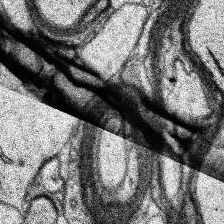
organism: Human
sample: Temporal Lobe